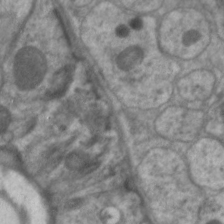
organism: C. elegans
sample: Pharynx